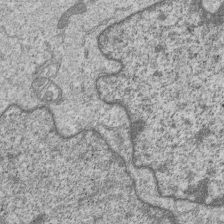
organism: Human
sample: MDA-MB-231 cells